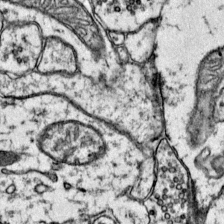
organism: Mouse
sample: Primary visual cortex